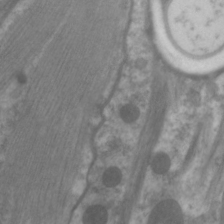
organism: C. elegans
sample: Pharynx